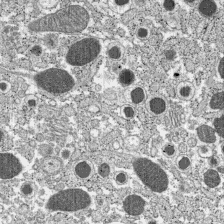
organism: C57BL Mouse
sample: Pancreatic islet